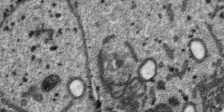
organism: Human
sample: Lung epithelial cells infected with SARS-CoV-2